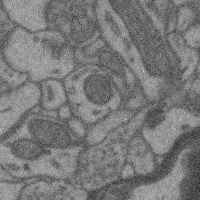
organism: Mouse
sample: Cerebral cortex